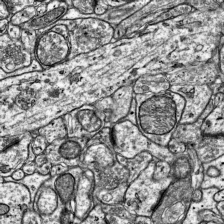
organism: Mouse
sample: Visual Cortex